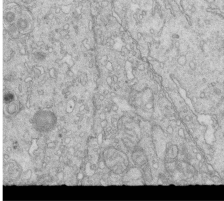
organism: Mouse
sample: Multiciliated cells